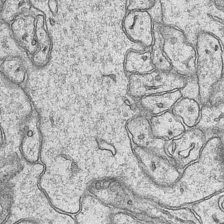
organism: Mouse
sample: CA1 Hippocampus